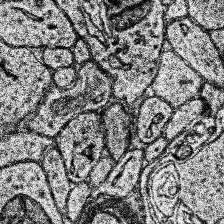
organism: Human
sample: Temporal Lobe